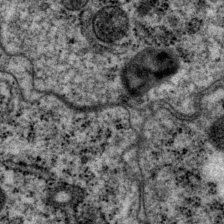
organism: P. pacificus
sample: Pharynx